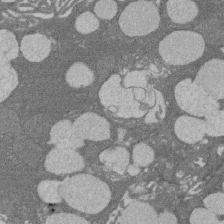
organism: Rat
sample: Salivary granule